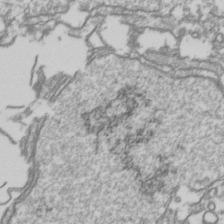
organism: Drosophila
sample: Cell division; meiosis; drosophila spermatocytes